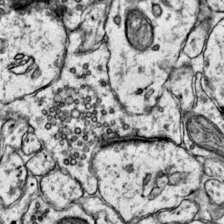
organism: Mouse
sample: Primary visual cortex